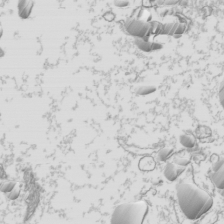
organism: Mouse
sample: Cilia; mouse epididymis